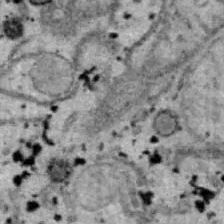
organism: Mouse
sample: Liver from an obese (ob/ob) mouse